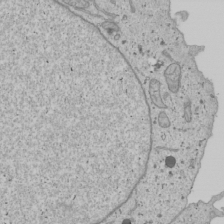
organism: Human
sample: Mitochondria in U2OS cells